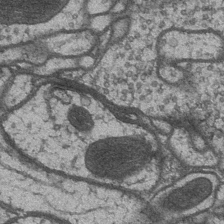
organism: Drosophila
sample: Optic medulla